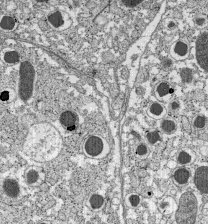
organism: C57BL Mouse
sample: Pancreatic islet